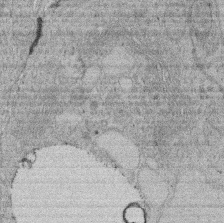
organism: Rat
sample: Salivary granule